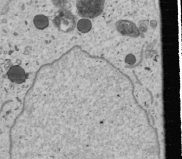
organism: Human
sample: Mitochondria in U2OS cells